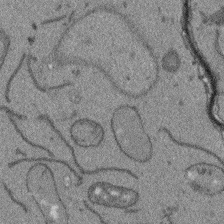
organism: Arabidopsis thaliana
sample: Root tip